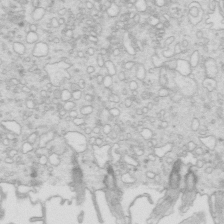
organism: Mouse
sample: Multiciliated cells